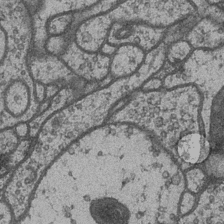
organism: Drosophila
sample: Optic medulla